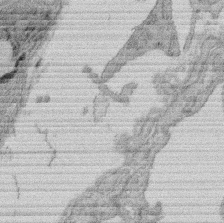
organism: Rat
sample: Salivary granule